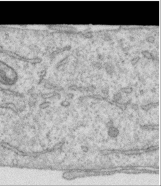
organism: Human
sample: Centriole in RPE cells